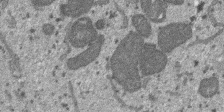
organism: Human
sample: Lung epithelial cells infected with SARS-CoV-2